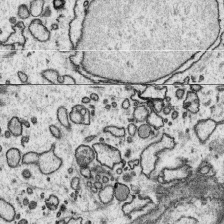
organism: Platynereis dumerilii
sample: Parapodia